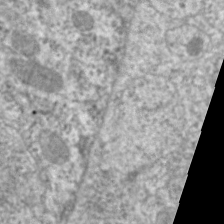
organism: C. elegans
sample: Pharynx